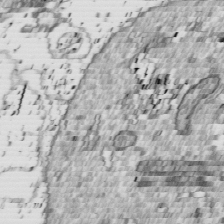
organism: Drosophila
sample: Cell division; meiosis; drosophila spermatocytes